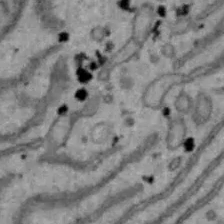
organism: Mouse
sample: Liver